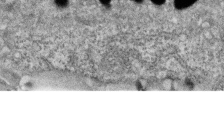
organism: Zebrafish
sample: Cilia; retinal pigment epithelium